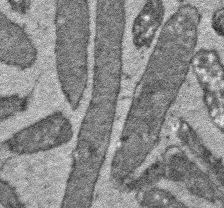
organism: E. coli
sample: E. Coli Bacteria